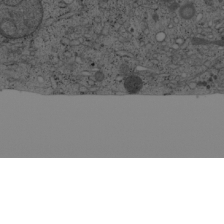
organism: African green monkey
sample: COS-7 cells